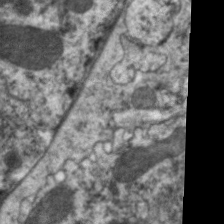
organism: C. elegans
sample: Pharynx